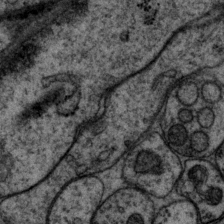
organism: P. pacificus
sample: Pharynx